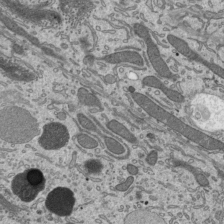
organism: Mouse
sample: Mouse epididymis efferent ductule cilia